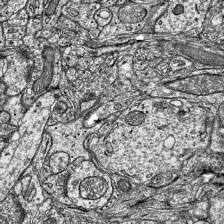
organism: Mouse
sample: Visual Cortex